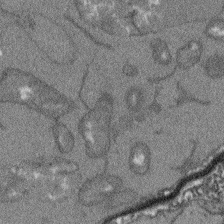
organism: Arabidopsis thaliana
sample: Root tip